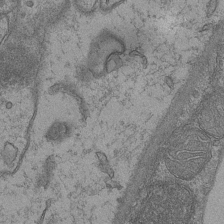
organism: Mouse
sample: CA1 Hippocampus